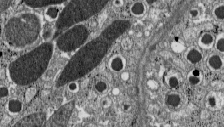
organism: C57BL Mouse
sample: Pancreatic islet